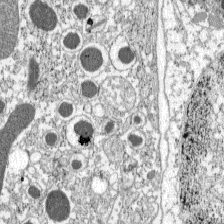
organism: C57BL Mouse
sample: Pancreatic islet